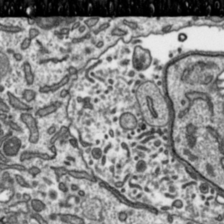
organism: Toxoplasma gondii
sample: Parasites in a vacuole inside a host cell